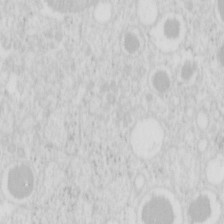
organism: Mouse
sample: Pancreas